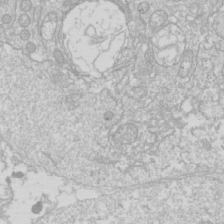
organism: Drosophila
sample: Cell division; meiosis; drosophila spermatocytes